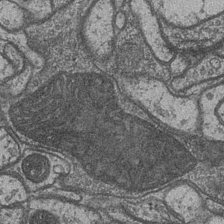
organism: Drosophila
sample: Optic medulla